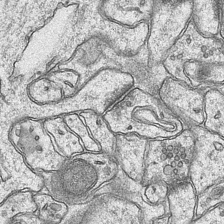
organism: Mouse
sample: CA1 Hippocampus